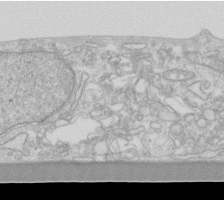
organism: Human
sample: Fibroblast cells